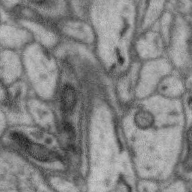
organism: Zebra finch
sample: Brain